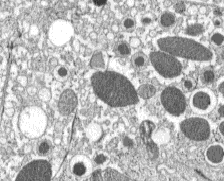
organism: C57BL Mouse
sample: Pancreatic islet